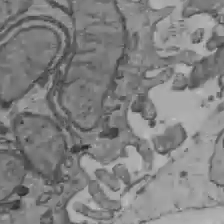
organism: C57BL Mouse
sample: Liver